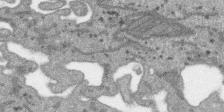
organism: Human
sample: Lung epithelial cells infected with SARS-CoV-2